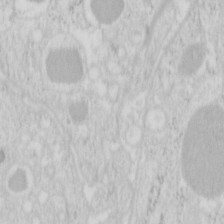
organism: Mouse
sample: Pancreas